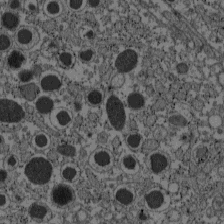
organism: C57BL Mouse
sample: Pancreatic islet